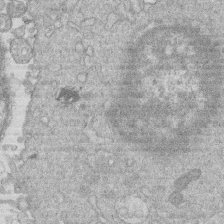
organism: Human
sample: Macrophage cells